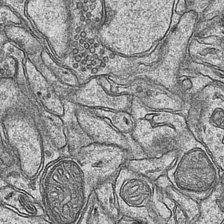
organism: Mouse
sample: CA1 Hippocampus